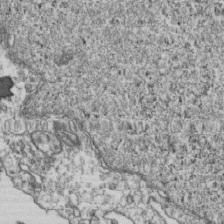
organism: Human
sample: Activated Jurkat CD4+ T cells